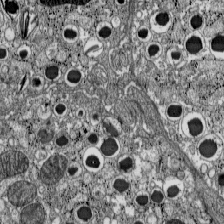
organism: C57BL Mouse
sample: Pancreatic islet